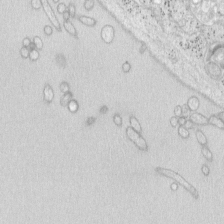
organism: Mouse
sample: OT-I killer T cells with ID8 ovarian cancer cells